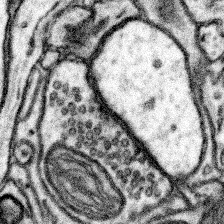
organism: Mouse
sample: Somatosensory cortex neuropil